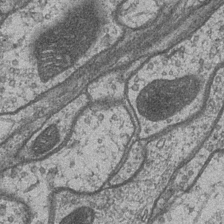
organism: Drosophila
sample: Optic medulla